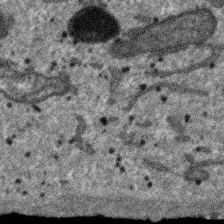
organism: Human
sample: Lung epithelial cells infected with SARS-CoV-2